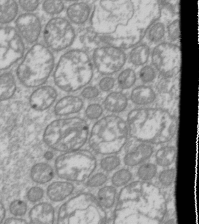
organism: Drosophila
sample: Cell division; meiosis; drosophila spermatocytes